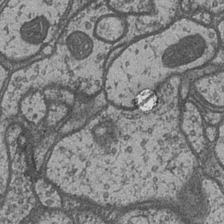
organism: Drosophila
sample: Optic medulla